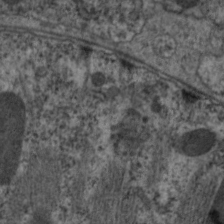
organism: C. elegans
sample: Pharynx